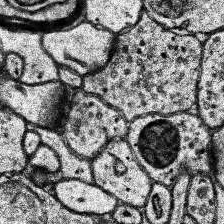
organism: Human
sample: Temporal Lobe